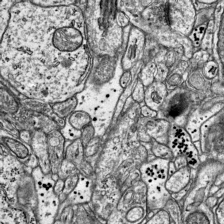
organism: Mouse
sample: Visual Cortex